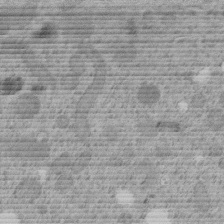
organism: C. elegans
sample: C. elegans embryo early stage